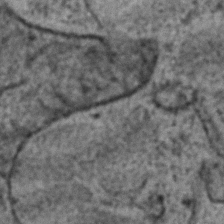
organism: C. elegans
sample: C. elegans embryo